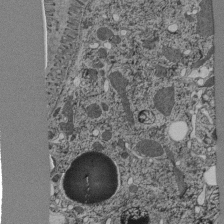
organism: C. elegans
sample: C. elegans pharynx